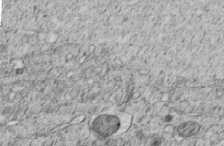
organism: C. elegans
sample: C. elegans embryo early stage